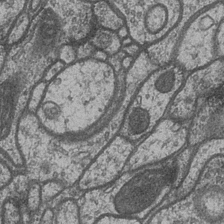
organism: Drosophila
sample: Optic medulla